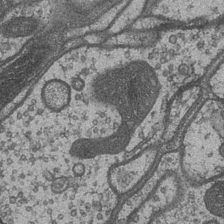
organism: Drosophila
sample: Optic medulla